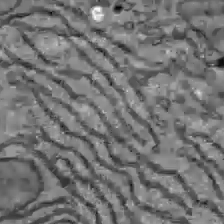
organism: C57BL Mouse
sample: Liver